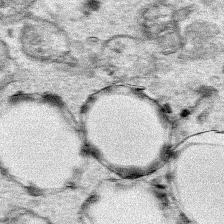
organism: Human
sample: Mitochondria in HCT116 cells